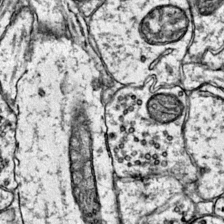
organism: Mouse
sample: Primary visual cortex